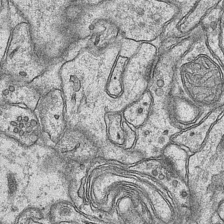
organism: Mouse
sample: CA1 Hippocampus